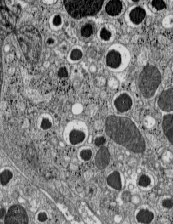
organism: C57BL Mouse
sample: Pancreatic islet